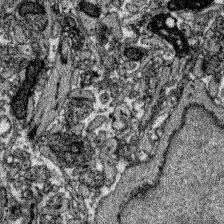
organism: Zebrafish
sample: Larval olfactory bulb